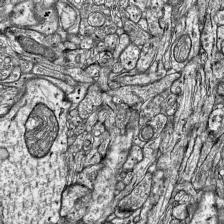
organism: Mouse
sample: Visual Cortex